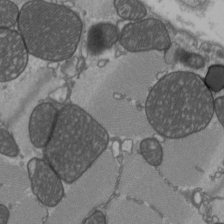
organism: C57BL Mouse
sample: Heart